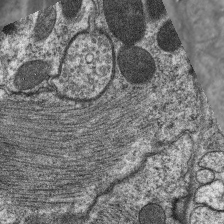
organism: C. elegans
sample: Pharynx